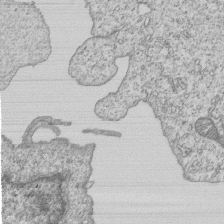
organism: Human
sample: MDA-MB-231 cells